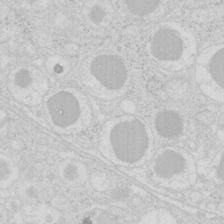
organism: Mouse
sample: Pancreas